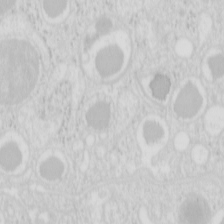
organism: Mouse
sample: Pancreas